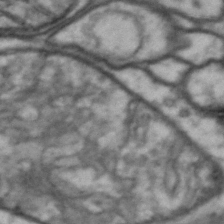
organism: Drosophila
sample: Brain